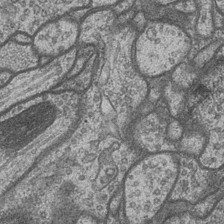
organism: Drosophila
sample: Optic medulla